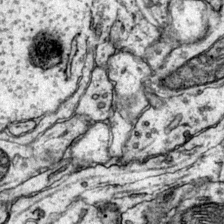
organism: Mouse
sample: Primary visual cortex